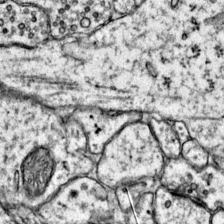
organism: Mouse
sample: Primary visual cortex